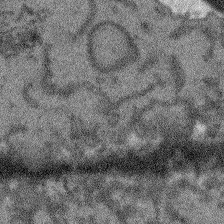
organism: Arabidopsis thaliana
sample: Root tip